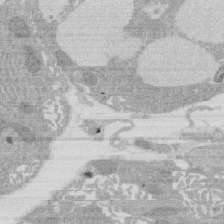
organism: Rat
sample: Salivary granule